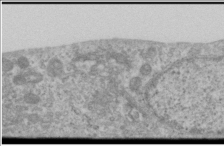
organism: Human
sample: Cilia; basal body in RPE cells